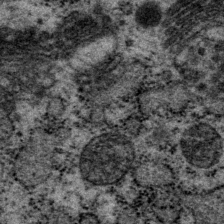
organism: P. pacificus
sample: Pharynx